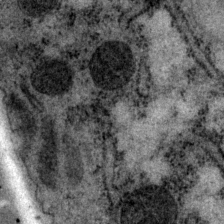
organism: P. pacificus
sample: Pharynx